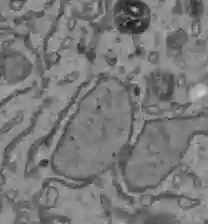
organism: C57BL Mouse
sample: Liver